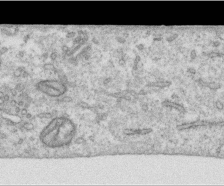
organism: Human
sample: Centriole in RPE cells